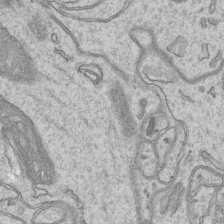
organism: Mouse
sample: CA1 Hippocampus